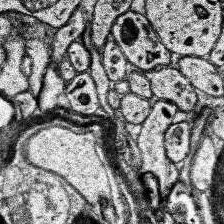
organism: Human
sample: Temporal Lobe